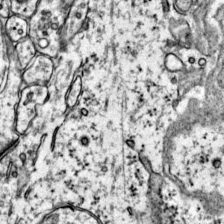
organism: Mouse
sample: Primary visual cortex